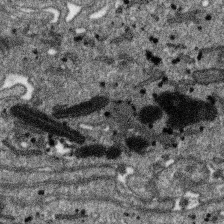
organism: Human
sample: Lung epithelial cells infected with SARS-CoV-2